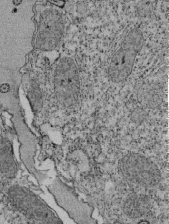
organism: Tetrahymena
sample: Cilia in tetrahymena